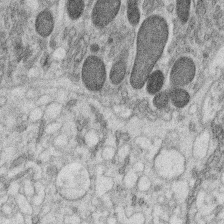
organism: C. elegans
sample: C. elegans oocyte; sperm cells